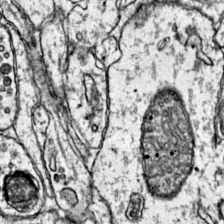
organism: Mouse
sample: Primary visual cortex